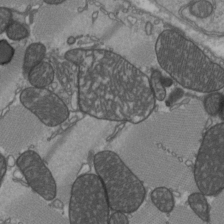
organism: C57BL Mouse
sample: Heart